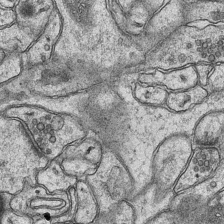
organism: Mouse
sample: CA1 Hippocampus